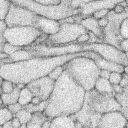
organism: Rabbit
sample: Retina